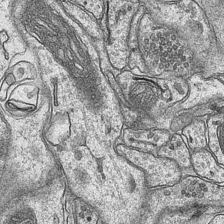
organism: Mouse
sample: CA1 Hippocampus